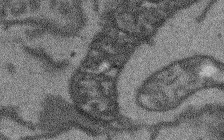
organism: Arabidopsis thaliana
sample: Root tip